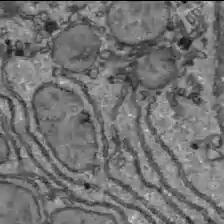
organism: C57BL Mouse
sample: Liver